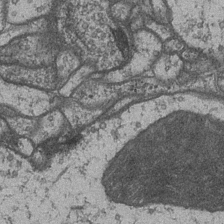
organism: Drosophila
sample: Optic medulla